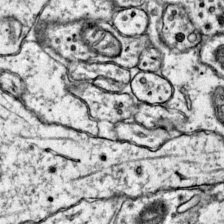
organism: Mouse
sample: Primary visual cortex